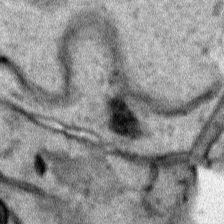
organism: Human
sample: Mitochondria in HCT116 cells